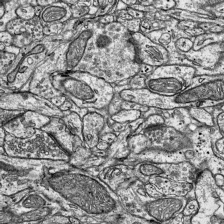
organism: Mouse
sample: Visual Cortex